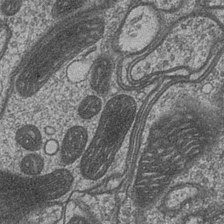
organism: Drosophila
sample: Optic medulla